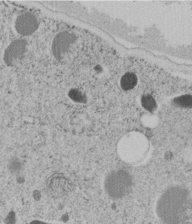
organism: C. elegans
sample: C. elegans embryo early stage